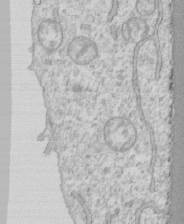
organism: Human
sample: CRL-1474